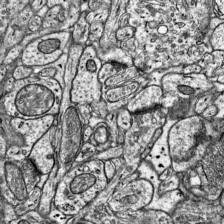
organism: Mouse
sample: Visual Cortex